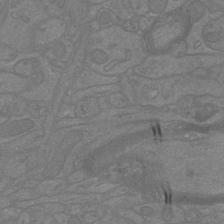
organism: Mouse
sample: Cortical neurons